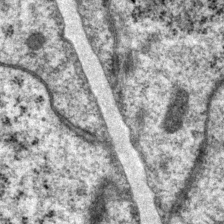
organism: P. pacificus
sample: Pharynx